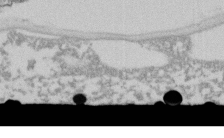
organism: C. elegans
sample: C. elegans embryo early stage